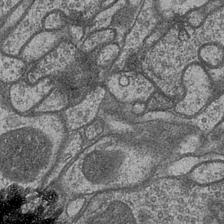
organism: Drosophila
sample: Optic medulla